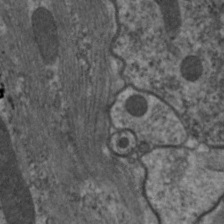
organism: C. elegans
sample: Pharynx